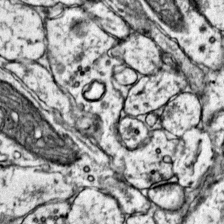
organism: Mouse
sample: Primary visual cortex